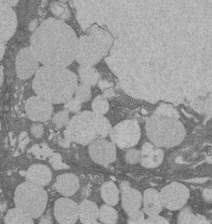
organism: Rat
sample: Salivary granule